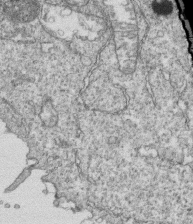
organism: Human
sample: HeLa cell HIV synapse